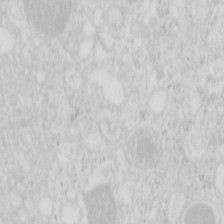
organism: Mouse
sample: Pancreas